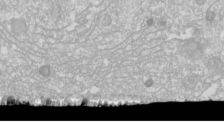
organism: Drosophila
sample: Cell division; meiosis; drosophila spermatocytes